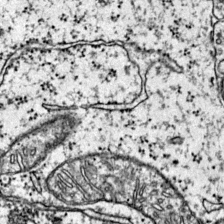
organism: Mouse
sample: Primary visual cortex